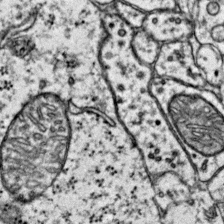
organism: Mouse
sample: Primary visual cortex